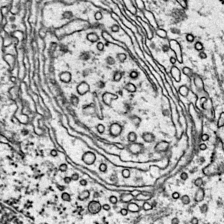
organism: Mouse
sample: Primary visual cortex